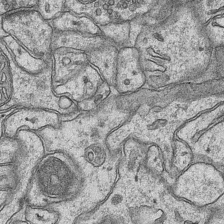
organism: Mouse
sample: CA1 Hippocampus